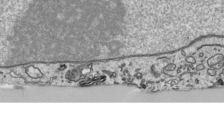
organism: Human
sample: Mitochondria in HCT116 cells